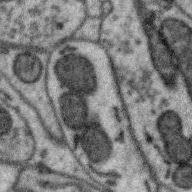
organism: Zebra finch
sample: Brain